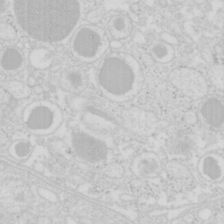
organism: Mouse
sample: Pancreas